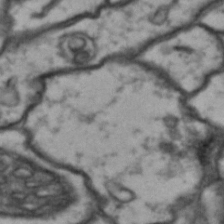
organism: Drosophila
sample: Brain